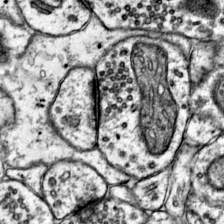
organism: Mouse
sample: Primary visual cortex